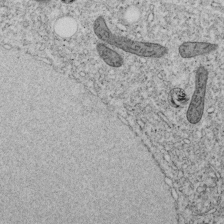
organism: C. elegans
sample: C. elegans embryo early stage